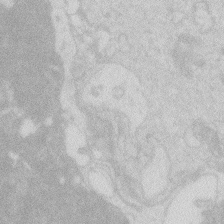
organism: Zebrafish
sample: Macrophage